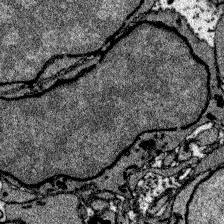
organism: Zebrafish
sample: Larval olfactory bulb